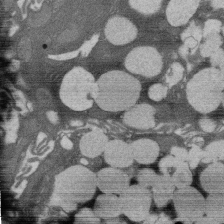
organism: Rat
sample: Salivary granule